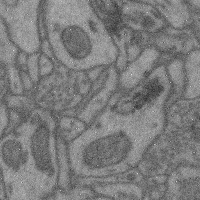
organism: Mouse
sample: Cerebral cortex